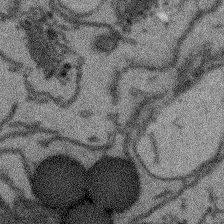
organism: Arabidopsis thaliana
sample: Root tip